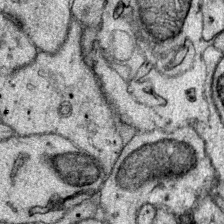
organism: Mouse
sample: Primary visual cortex